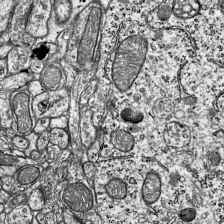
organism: Mouse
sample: Visual Cortex